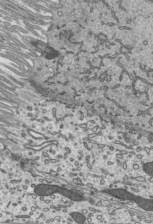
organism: Mouse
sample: Mouse epididymis efferent ductule cilia